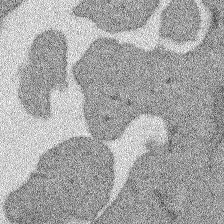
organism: Human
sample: HeLa cells